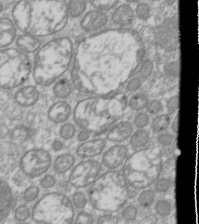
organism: Drosophila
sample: Cell division; meiosis; drosophila spermatocytes